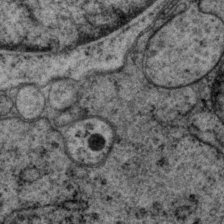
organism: P. pacificus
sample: Pharynx